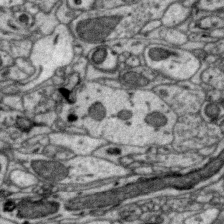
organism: Zebra finch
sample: Brain